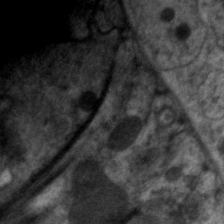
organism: C. elegans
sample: Pharynx